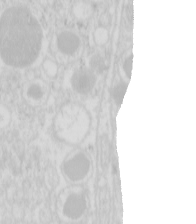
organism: Mouse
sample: Pancreas